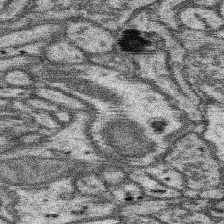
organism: Mouse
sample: Somatosensory cortex neuropil